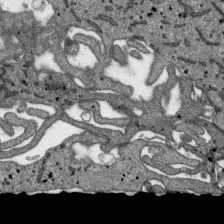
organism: Human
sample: Lung epithelial cells, uninfected (mock) control